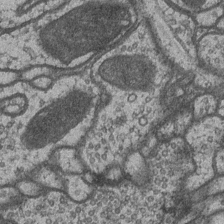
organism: Drosophila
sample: Optic medulla